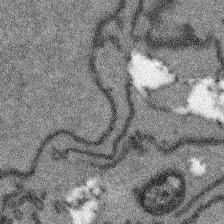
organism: Arabidopsis thaliana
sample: Root tip